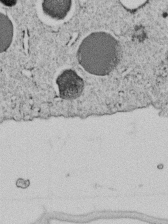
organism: C. elegans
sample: C. elegans embryo early stage